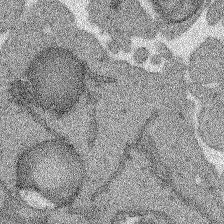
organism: Human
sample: HeLa cells